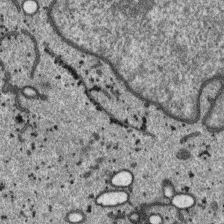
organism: Human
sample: Lung epithelial cells infected with SARS-CoV-2